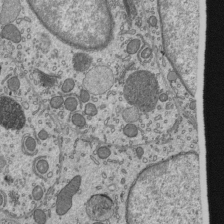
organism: Mouse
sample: Mouse epididymis efferent ductule cilia